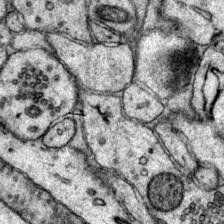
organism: Mouse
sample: Primary visual cortex